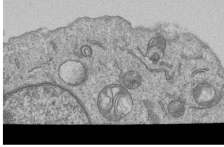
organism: Human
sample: MDA-MB-231 cells